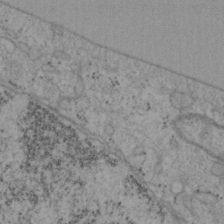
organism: Human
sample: HeLa cells